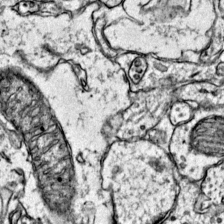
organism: Mouse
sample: Primary visual cortex